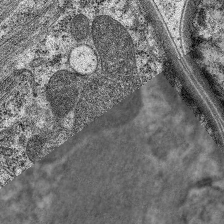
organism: C. elegans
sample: Pharynx